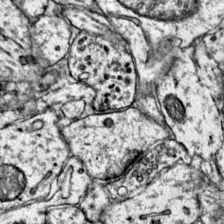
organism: Mouse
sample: Primary visual cortex